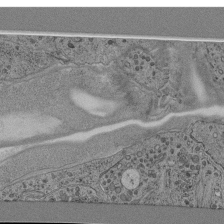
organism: C. elegans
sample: C. elegans pharynx